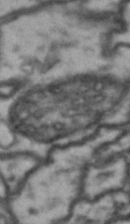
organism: Drosophila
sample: Brain